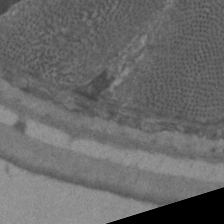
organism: C. elegans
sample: Pharynx